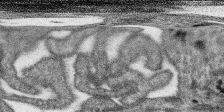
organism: Human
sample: Lung epithelial cells infected with SARS-CoV-2